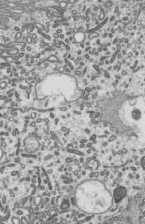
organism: Mouse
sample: Mouse epididymis efferent ductule cilia